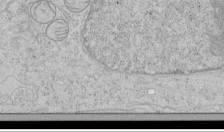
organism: Human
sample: Mitochondria in HCT116 cells